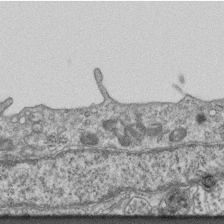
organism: Mouse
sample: Centriole in ependymal cells